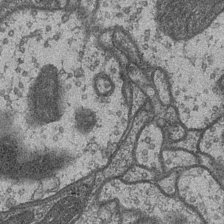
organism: Drosophila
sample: Optic medulla